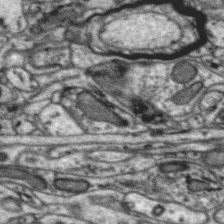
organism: Zebra finch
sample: Brain